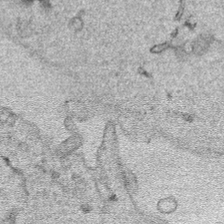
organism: Human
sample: Mitochondria in HCT116 cells